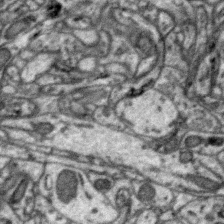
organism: Zebra finch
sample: Brain